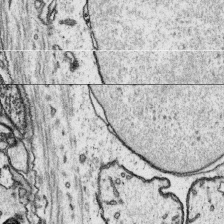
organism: Platynereis dumerilii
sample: Parapodia